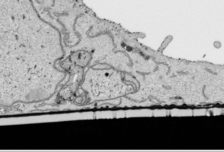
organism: Human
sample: Mitochondria in HCT116 cells